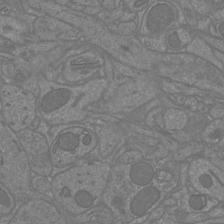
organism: Mouse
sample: Cortical neurons